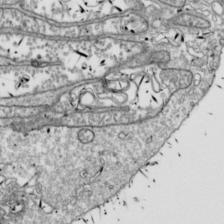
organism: Drosophila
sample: Cell division; meiosis; drosophila spermatocytes